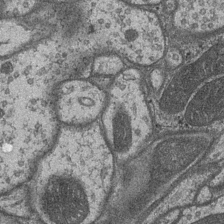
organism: Drosophila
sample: Optic medulla